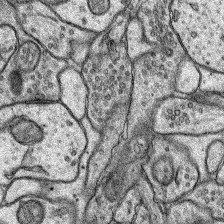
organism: Rat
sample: Hippocampus